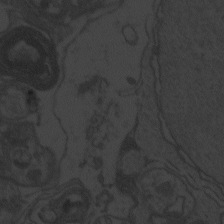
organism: Zebrafish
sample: Macrophage infected with Toxoplasma gondii